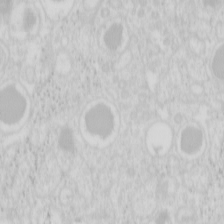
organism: Mouse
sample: Pancreas